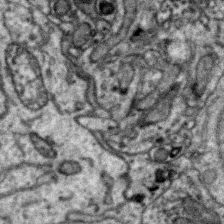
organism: Zebra finch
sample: Brain